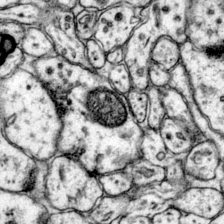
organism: Mouse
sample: Primary visual cortex